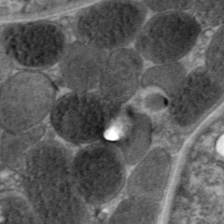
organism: C. elegans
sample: Pharynx